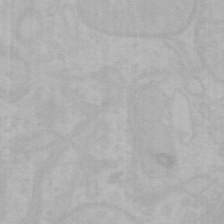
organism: Mouse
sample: Choroid plexus